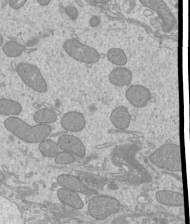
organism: Mouse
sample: Cilia; mouse epididymis